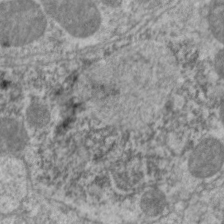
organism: C. elegans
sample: Pharynx